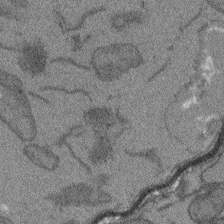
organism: Arabidopsis thaliana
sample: Root tip